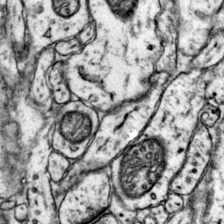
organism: Mouse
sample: Primary visual cortex